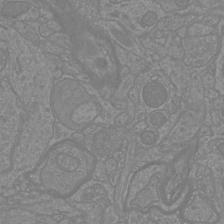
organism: Mouse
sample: Cortical neurons